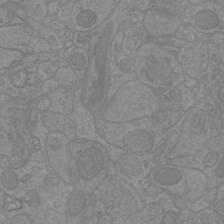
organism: Mouse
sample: Cortical neurons